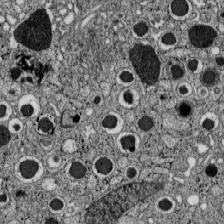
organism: C57BL Mouse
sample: Pancreatic islet